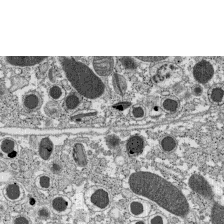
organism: C57BL Mouse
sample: Pancreatic islet